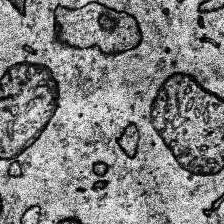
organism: Human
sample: Temporal Lobe